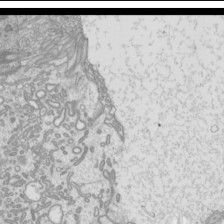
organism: Mouse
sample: Cilia; mouse epididymis